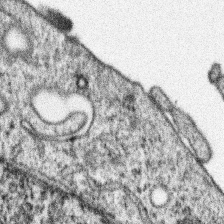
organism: Human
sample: HeLa cells